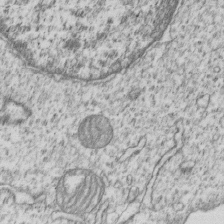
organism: Human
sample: MDA-MB-231 cells